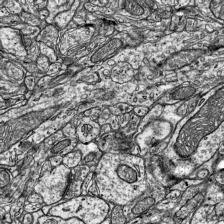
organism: Mouse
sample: Visual Cortex